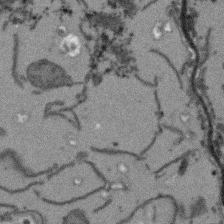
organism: Arabidopsis thaliana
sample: Root tip